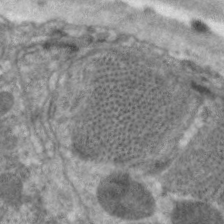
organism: C. elegans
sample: Pharynx